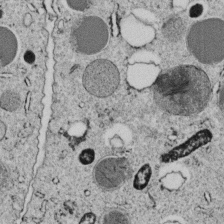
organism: C. elegans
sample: C. elegans embryo early stage